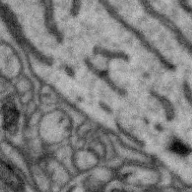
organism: Zebra finch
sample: Brain